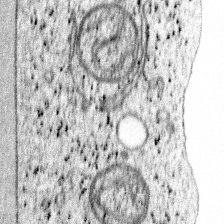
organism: Human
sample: HeLa cells